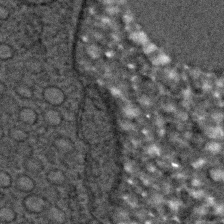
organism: C. elegans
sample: C. elegans embryo